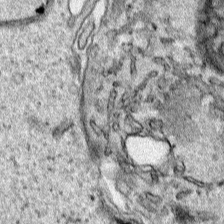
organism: Human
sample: Mitochondria in HCT116 cells